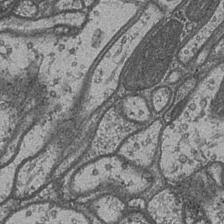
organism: Drosophila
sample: Optic medulla